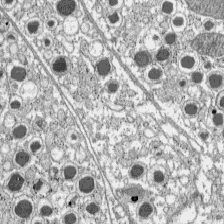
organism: C57BL Mouse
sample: Pancreatic islet